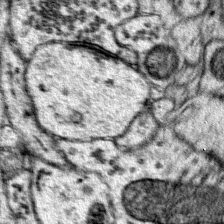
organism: Mouse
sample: Primary visual cortex